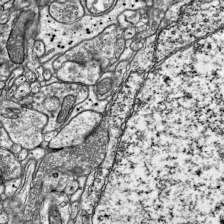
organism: Mouse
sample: Visual Cortex